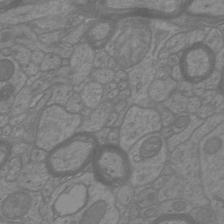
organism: Mouse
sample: Cortical neurons